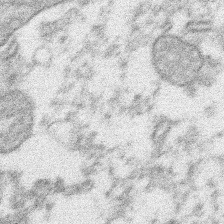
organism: Xenopus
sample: Cilia; centrioles in frog embryo cells